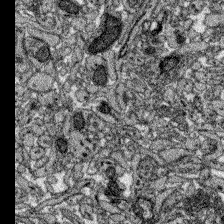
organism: Zebrafish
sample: Larval olfactory bulb